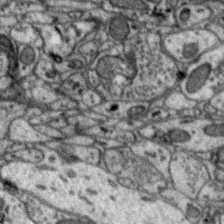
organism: Zebra finch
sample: Brain